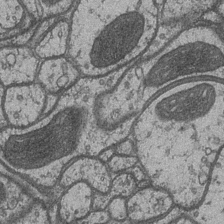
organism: Drosophila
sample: Optic medulla